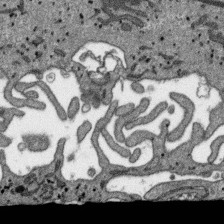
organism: Human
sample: Lung epithelial cells, uninfected (mock) control